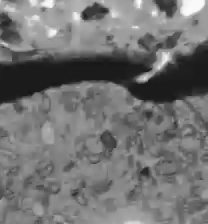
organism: C57BL Mouse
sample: Liver